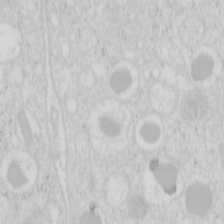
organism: Mouse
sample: Pancreas